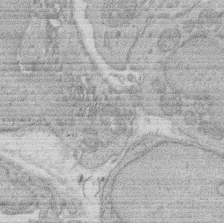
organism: Rat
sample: Salivary granule